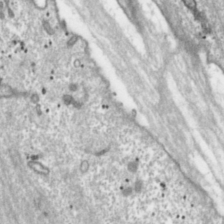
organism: Toxoplasma gondii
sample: Parasites in a vacuole inside a host cell